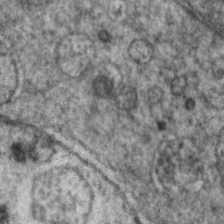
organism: C. elegans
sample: Pharynx